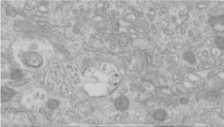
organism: Human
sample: Centriole in RPE cells